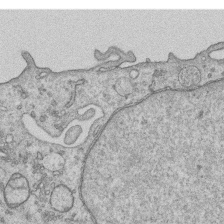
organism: Human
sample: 1205lu cells